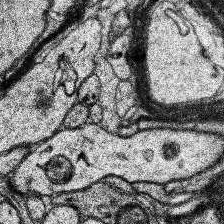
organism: Human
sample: Temporal Lobe